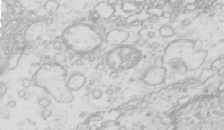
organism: Mouse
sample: Multiciliated cells